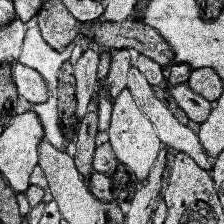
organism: Human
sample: Temporal Lobe